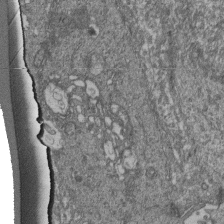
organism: Human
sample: Retinal organoid Rod and Cone cells